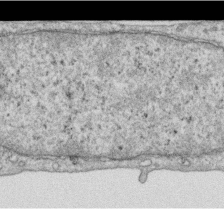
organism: Human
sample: Centriole in RPE cells